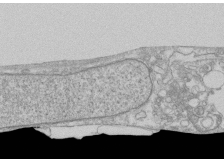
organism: Human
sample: CRL-1474